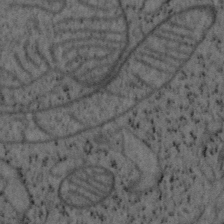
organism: Human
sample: HeLa cells